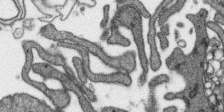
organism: Human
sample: Lung epithelial cells, uninfected (mock) control